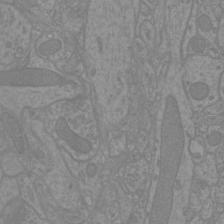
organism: Mouse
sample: Cortical neurons